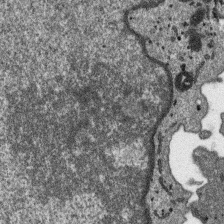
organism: Human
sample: Lung epithelial cells infected with SARS-CoV-2